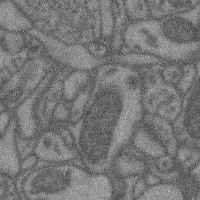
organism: Mouse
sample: Cerebral cortex